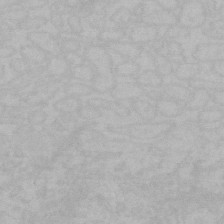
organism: Mouse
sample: Choroid plexus